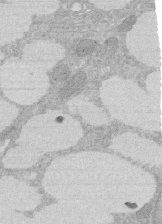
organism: Rat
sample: Salivary granule